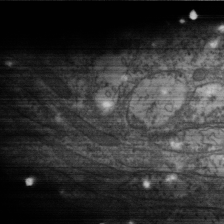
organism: Drosophila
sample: Cell division; meiosis; drosophila spermatocytes